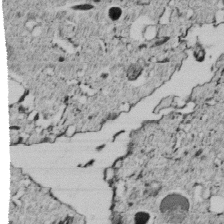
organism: C. elegans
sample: C. elegans embryo early stage